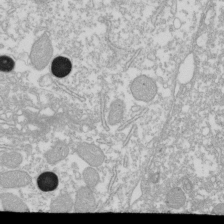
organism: Xenopus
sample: Cilia; centrioles in frog embryo cells